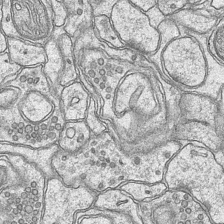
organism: Mouse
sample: CA1 Hippocampus